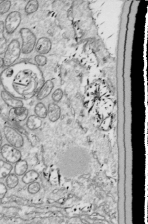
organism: Drosophila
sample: Cell division; meiosis; drosophila spermatocytes